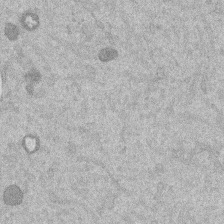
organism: Mouse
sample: Dividing mouse embryo 1 cell stage